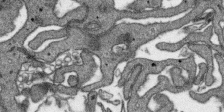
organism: Human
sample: Lung epithelial cells, uninfected (mock) control